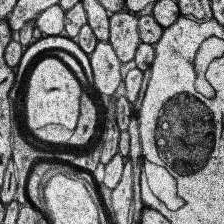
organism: Human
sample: Temporal Lobe